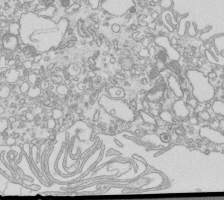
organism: Mouse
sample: Macrophages